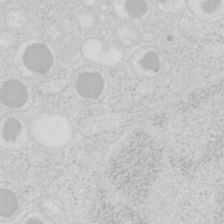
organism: Mouse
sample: Pancreas